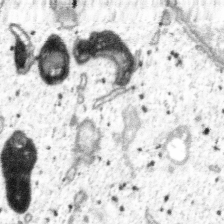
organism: Human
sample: HeLa cells